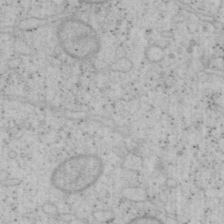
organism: Human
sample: HeLa cells